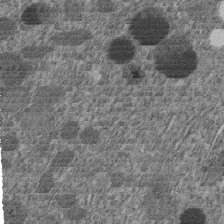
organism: C. elegans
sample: C. elegans embryo early stage